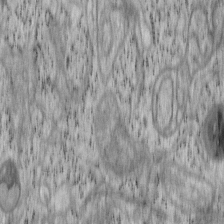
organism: Human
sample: HeLa cells